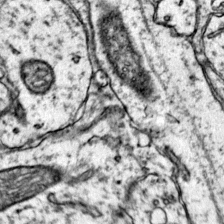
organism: Mouse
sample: Primary visual cortex